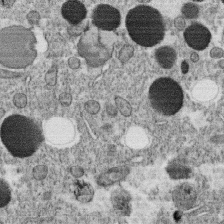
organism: C. elegans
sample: C. elegans oocyte; sperm cells